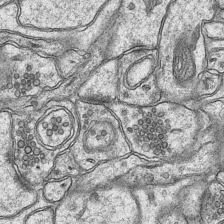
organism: Mouse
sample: CA1 Hippocampus